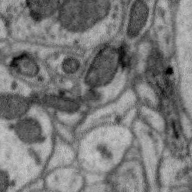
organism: Zebra finch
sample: Brain